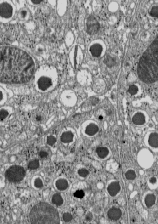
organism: C57BL Mouse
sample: Pancreatic islet